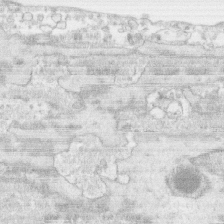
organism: Human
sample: CRL-1474